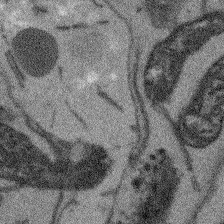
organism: Arabidopsis thaliana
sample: Root tip